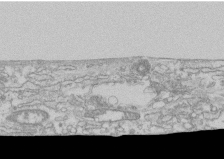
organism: Human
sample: CRL-1474